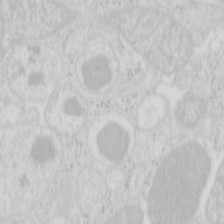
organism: Mouse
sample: Pancreas